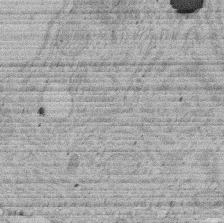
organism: Rat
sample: Salivary granule